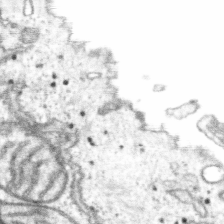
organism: Human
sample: HeLa cells